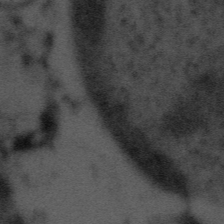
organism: Tuwongella immobilis